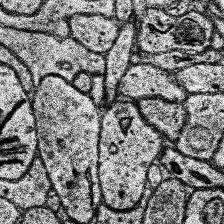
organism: Human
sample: Temporal Lobe